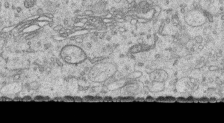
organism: Human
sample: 1205lu cells